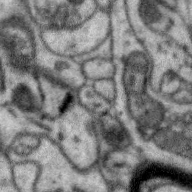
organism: Zebra finch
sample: Brain